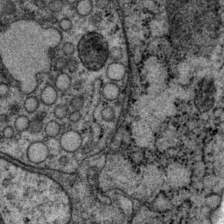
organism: P. pacificus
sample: Pharynx